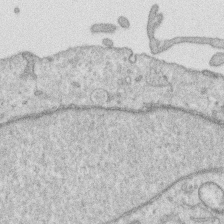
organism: Human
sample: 1205lu cells